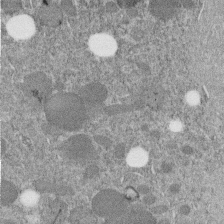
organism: C. elegans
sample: C. elegans embryo early stage